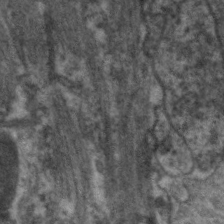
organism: C. elegans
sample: Pharynx